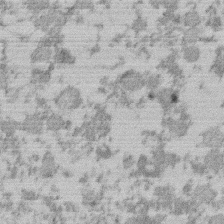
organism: Mouse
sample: Dividing mouse embryo 1 cell stage